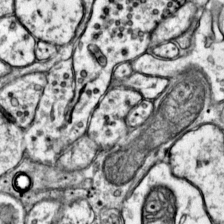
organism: Mouse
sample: Primary visual cortex